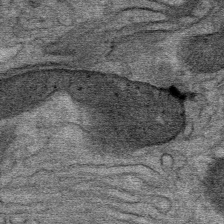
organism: Mouse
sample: Mouse Salivary gland